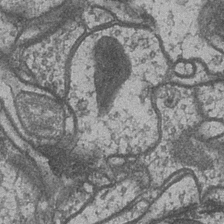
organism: Drosophila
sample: Optic medulla